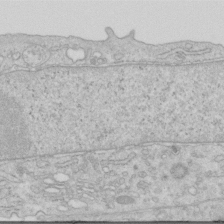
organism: Human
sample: Centriole in RPE cells